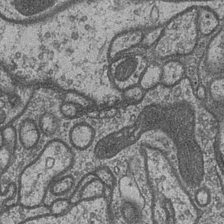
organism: Drosophila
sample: Optic medulla